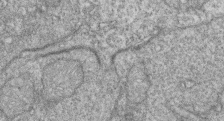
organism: Zebrafish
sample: Cilia; retinal pigment epithelium